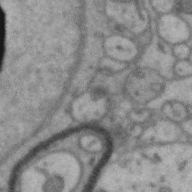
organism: Zebra finch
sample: Brain